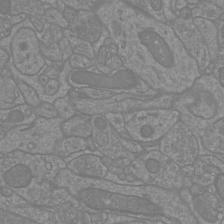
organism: Mouse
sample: Cortical neurons